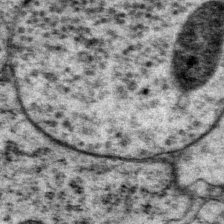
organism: P. pacificus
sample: Pharynx